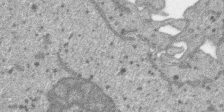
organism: Human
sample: Lung epithelial cells infected with SARS-CoV-2